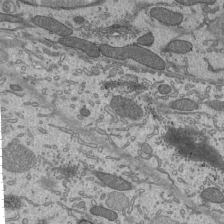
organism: Mouse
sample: Mouse epididymis efferent ductule cilia